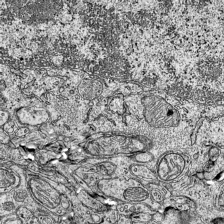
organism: Mouse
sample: Visual Cortex